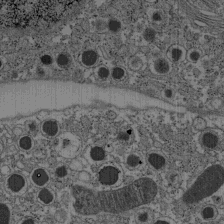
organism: C57BL Mouse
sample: Pancreatic islet